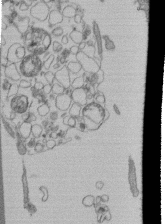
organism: Human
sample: Retinal organoid Rod and Cone cells